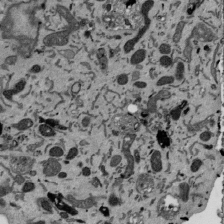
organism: Mouse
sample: ED-1 cell nuclei; centrioles